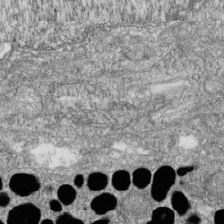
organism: Zebrafish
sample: Cilia; retinal pigment epithelium